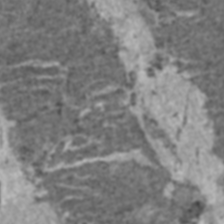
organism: C57BL Mouse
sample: Heart